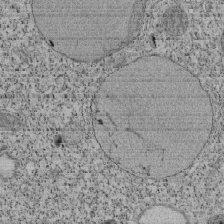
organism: Tetrahymena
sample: Cilia in tetrahymena